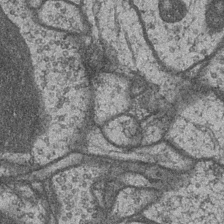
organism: Drosophila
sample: Optic medulla